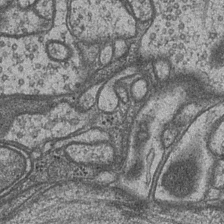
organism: Drosophila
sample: Optic medulla